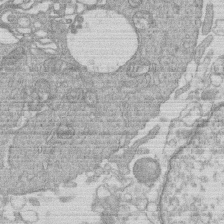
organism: Human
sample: Macrophage cells